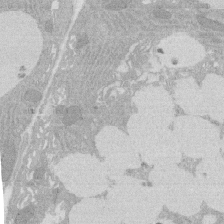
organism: Rat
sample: Salivary granule